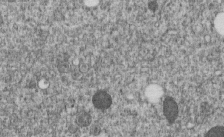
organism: C. elegans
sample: C. elegans embryo early stage